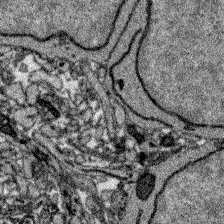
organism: Zebrafish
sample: Larval olfactory bulb